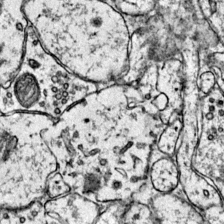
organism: Mouse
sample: Primary visual cortex